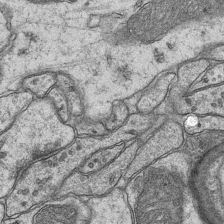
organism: Mouse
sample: CA1 Hippocampus